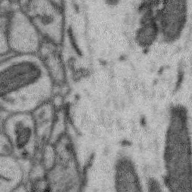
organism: Zebra finch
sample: Brain